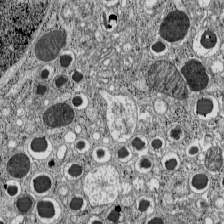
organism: C57BL Mouse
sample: Pancreatic islet